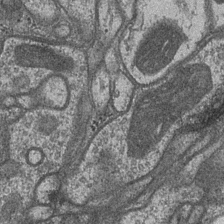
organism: Drosophila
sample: Optic medulla